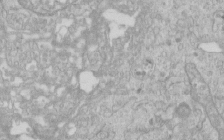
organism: Human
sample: Centriole in RPE cells